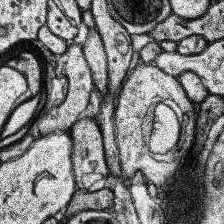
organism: Human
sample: Temporal Lobe